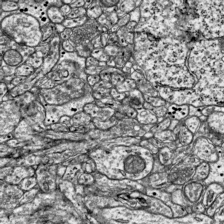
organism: Mouse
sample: Visual Cortex